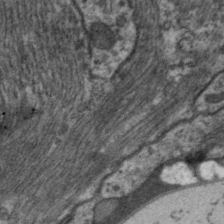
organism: C. elegans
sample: Pharynx